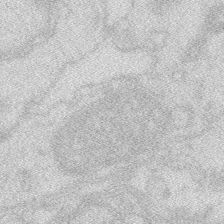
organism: Zebrafish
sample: Macrophage